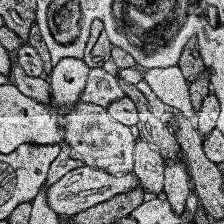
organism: Human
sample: Temporal Lobe